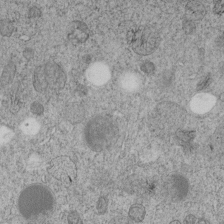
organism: C. elegans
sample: C. elegans embryo early stage